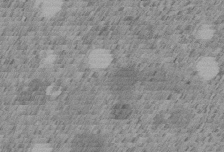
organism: C. elegans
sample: C. elegans embryo early stage